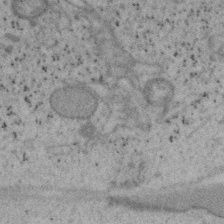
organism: Human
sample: HeLa cells